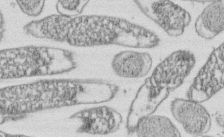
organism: E. coli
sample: Bacterial nucleoid